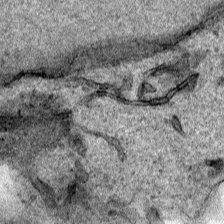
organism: Human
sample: Mitochondria in HCT116 cells